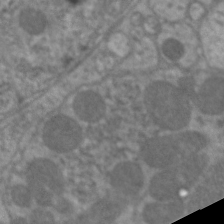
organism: C. elegans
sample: Pharynx